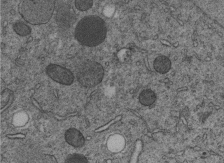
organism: C. elegans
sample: C. elegans embryo early stage